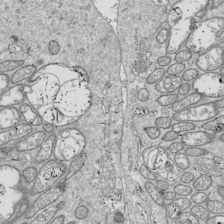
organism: Drosophila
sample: Cell division; meiosis; drosophila spermatocytes